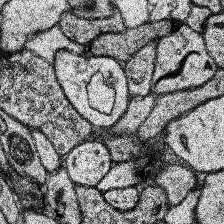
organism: Human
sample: Temporal Lobe